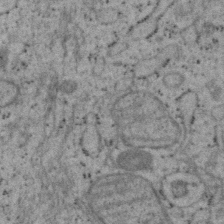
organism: Human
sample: HeLa cells